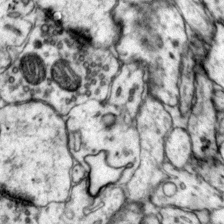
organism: Mouse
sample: Primary visual cortex